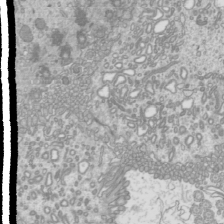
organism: Mouse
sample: Cilia; mouse epididymis